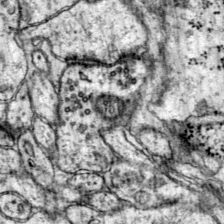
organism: Mouse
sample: Primary visual cortex